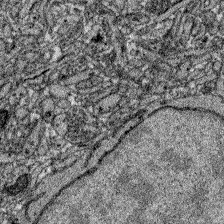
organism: Zebrafish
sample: Larval olfactory bulb